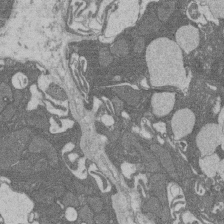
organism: Rat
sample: Salivary granule